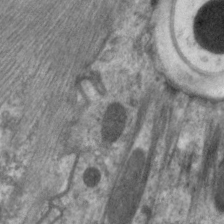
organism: C. elegans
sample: Pharynx